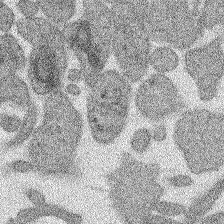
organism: Human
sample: HeLa cells